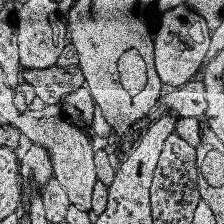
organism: Human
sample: Temporal Lobe